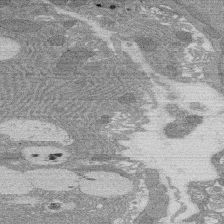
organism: Rat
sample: Salivary granule